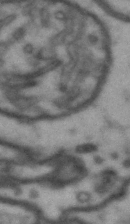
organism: Drosophila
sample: Brain